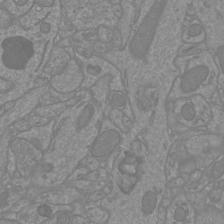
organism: Mouse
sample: Cortical neurons